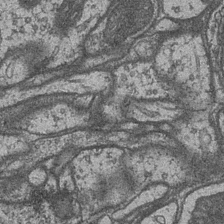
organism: Drosophila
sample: Optic medulla